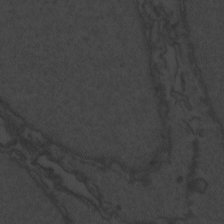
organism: Zebrafish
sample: Macrophage infected with Toxoplasma gondii